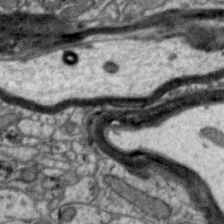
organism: Zebra finch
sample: Brain